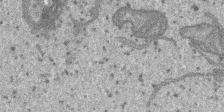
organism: Human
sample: Lung epithelial cells infected with SARS-CoV-2